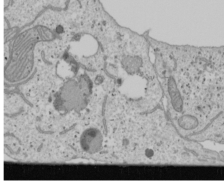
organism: Human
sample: Mitochondria in U2OS cells